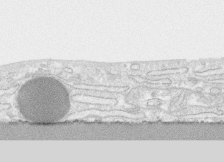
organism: Human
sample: CRL-1474